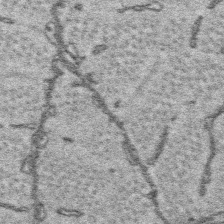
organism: Platynereis dumerilii